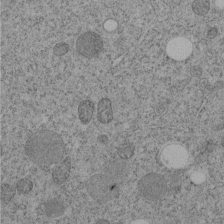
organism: C. elegans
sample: C. elegans embryo early stage